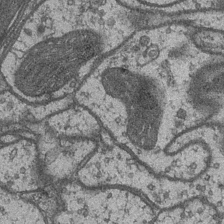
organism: Drosophila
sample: Optic medulla